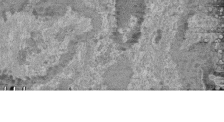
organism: Mouse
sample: Glomerulus